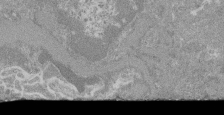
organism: Mouse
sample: Glomerulus